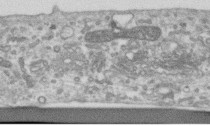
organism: Human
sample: Centriole in RPE cells